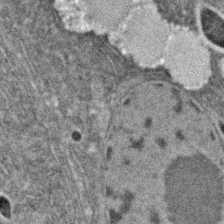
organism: C. elegans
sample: C. elegans embryo